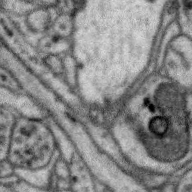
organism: Zebra finch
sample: Brain